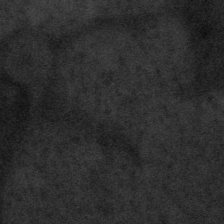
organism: Tuwongella immobilis